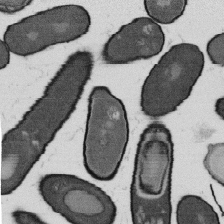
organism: B. subtilis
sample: Bacterial spore